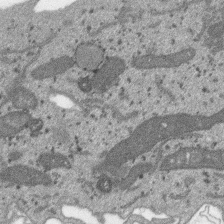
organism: Human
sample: Lung epithelial cells infected with SARS-CoV-2